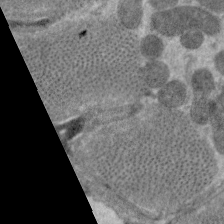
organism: C. elegans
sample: Pharynx